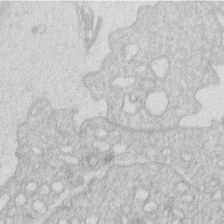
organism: Human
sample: Macrophage cells